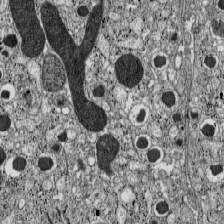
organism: C57BL Mouse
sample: Pancreatic islet